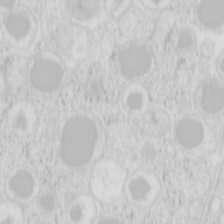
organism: Mouse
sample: Pancreas